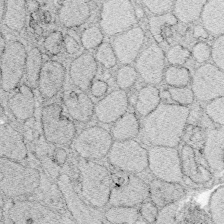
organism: Zebrafish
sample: Whole-Brain